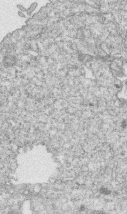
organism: Human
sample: HeLa cell HIV synapse